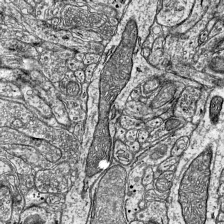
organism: Mouse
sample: Visual Cortex